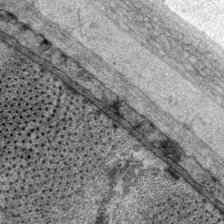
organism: P. pacificus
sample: Pharynx